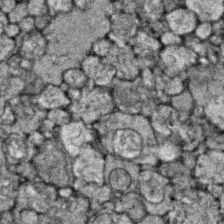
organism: Zebrafish